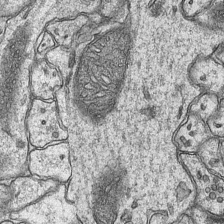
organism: Mouse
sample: CA1 Hippocampus